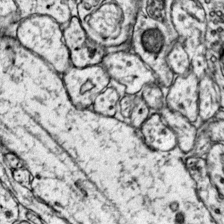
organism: Mouse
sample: Primary visual cortex